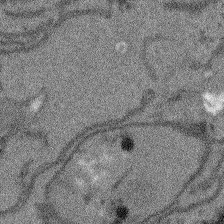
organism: Arabidopsis thaliana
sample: Root tip